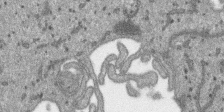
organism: Human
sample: Lung epithelial cells infected with SARS-CoV-2